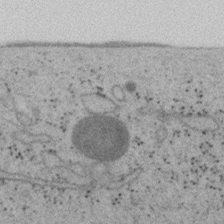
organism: Human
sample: HeLa cells